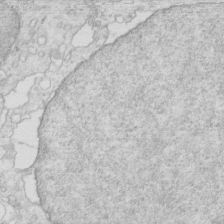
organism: Mouse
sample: Multiciliated cells